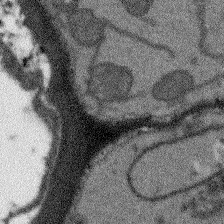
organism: Arabidopsis thaliana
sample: Root tip